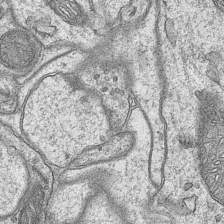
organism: Mouse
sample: CA1 Hippocampus